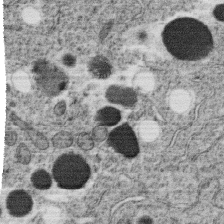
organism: C. elegans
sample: C. elegans oocyte; sperm cells